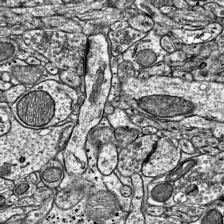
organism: Mouse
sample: Visual Cortex